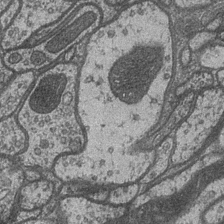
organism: Drosophila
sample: Optic medulla